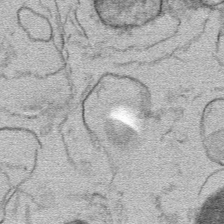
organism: Mouse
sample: Mouse hepatocytes